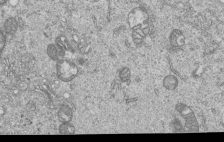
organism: Human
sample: MDA-MB-231 cells